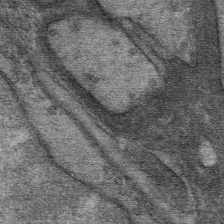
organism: Mouse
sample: Mouse Salivary gland